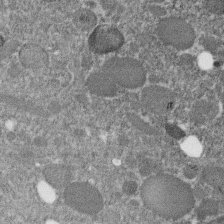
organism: C. elegans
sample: C. elegans embryo early stage